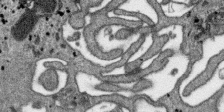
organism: Human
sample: Lung epithelial cells, uninfected (mock) control